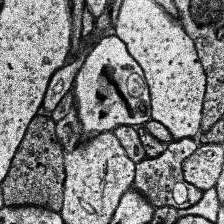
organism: Human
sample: Temporal Lobe